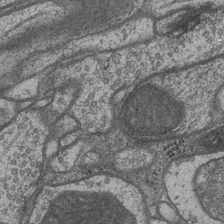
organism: Drosophila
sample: Optic medulla